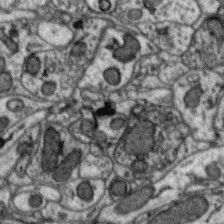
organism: Zebra finch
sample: Brain